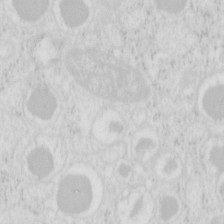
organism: Mouse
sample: Pancreas